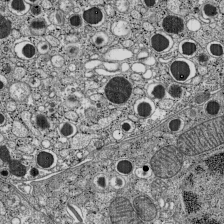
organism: C57BL Mouse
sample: Pancreatic islet